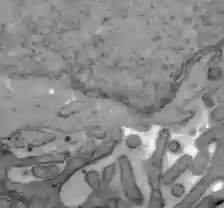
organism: C57BL Mouse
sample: Liver